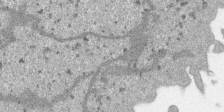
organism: Human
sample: Lung epithelial cells infected with SARS-CoV-2